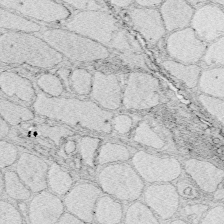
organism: Zebrafish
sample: Whole-Brain